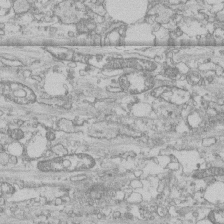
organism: Human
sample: CRL-1474